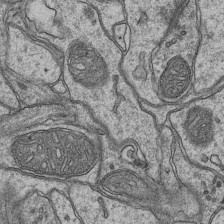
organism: Mouse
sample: CA1 Hippocampus